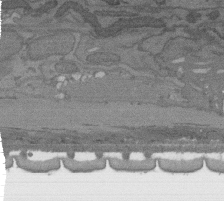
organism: C. elegans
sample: AFD neurons C. elegans